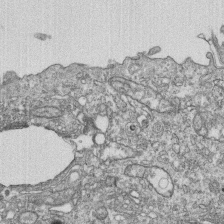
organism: Human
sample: HeLa cell HIV synapse